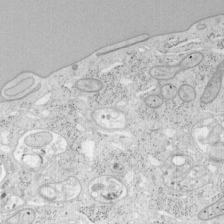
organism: Mouse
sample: OT-I killer T cells with ID8 ovarian cancer cells